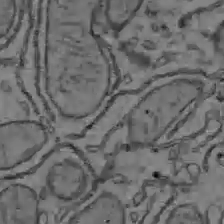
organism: C57BL Mouse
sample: Liver